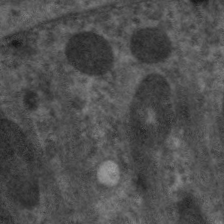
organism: C. elegans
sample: Pharynx